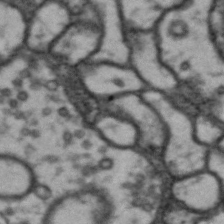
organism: Drosophila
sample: Brain